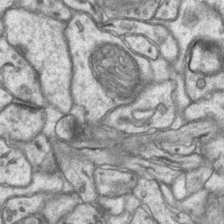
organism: Mouse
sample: CA1 Hippocampus